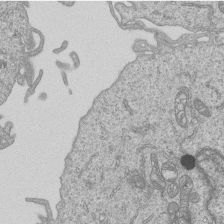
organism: Human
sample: MDA-MB-231 cells